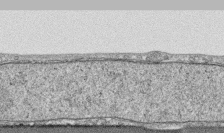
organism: Human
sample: CRL-1474